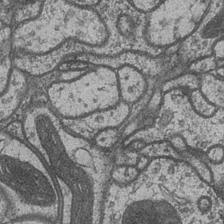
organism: Drosophila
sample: Optic medulla